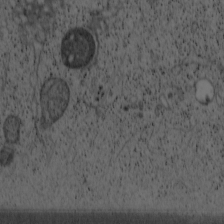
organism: African green monkey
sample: COS-7 cells